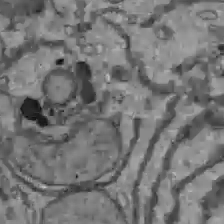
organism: C57BL Mouse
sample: Liver